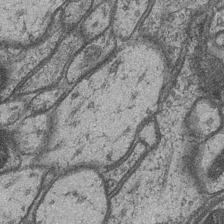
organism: Drosophila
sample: Optic medulla